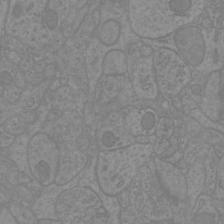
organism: Mouse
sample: Cortical neurons